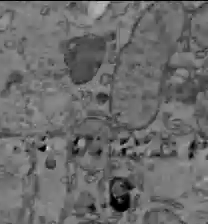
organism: C57BL Mouse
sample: Liver